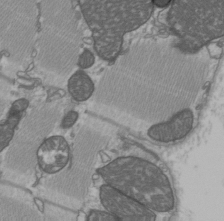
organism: C57BL Mouse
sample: Heart